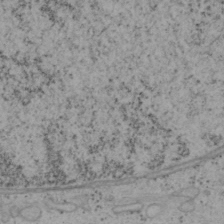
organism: Human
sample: HeLa cells